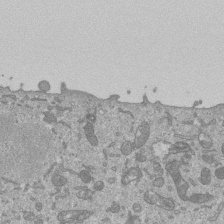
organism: Mouse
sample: ED-1 cell nuclei; centrioles